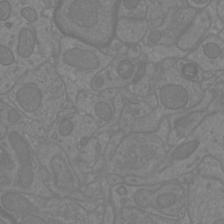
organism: Mouse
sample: Cortical neurons